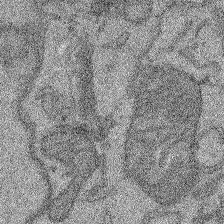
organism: Human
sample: HeLa cells